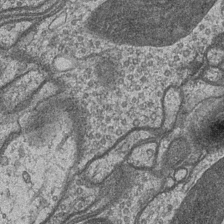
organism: Drosophila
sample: Optic medulla